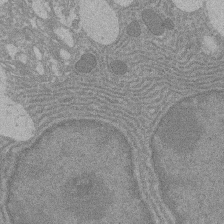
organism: Rat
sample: Salivary granule